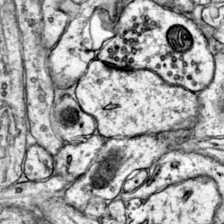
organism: Mouse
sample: Primary visual cortex